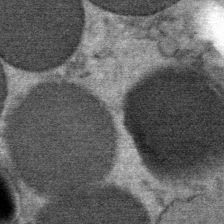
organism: Mouse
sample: Mouse Salivary gland